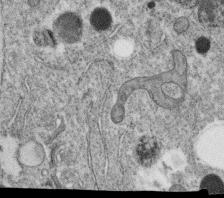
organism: C. elegans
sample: C. elegans oocyte; sperm cells